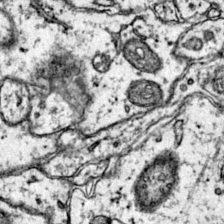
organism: Mouse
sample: Primary visual cortex